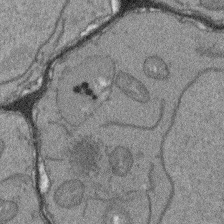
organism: Arabidopsis thaliana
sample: Root tip